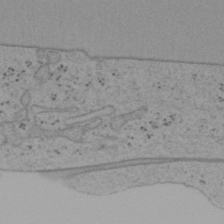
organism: Human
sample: HeLa cells